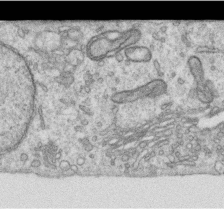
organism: Human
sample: Centriole in RPE cells